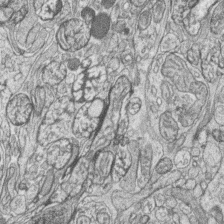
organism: Zebrafish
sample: synaptic ribbons in rod cells and cone cells